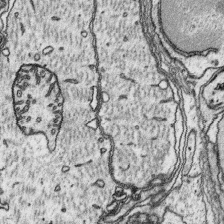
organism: Platynereis dumerilii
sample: Parapodia